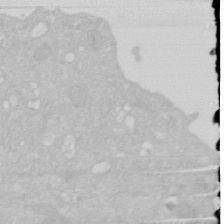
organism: Human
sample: HIV infected U937 cells